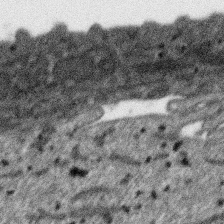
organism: Human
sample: Lung epithelial cells infected with SARS-CoV-2